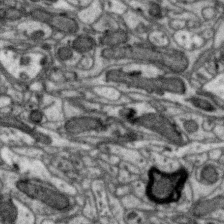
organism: Zebra finch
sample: Brain